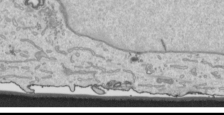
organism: Human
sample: Mitochondria in HCT116 cells